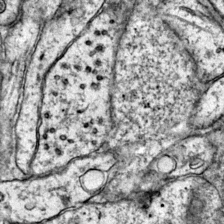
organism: Mouse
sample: Primary visual cortex